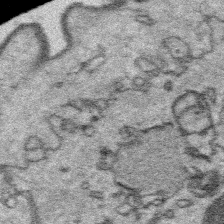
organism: Platynereis dumerilii